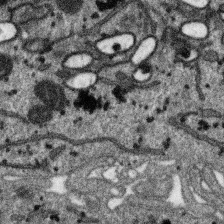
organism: Human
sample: Lung epithelial cells infected with SARS-CoV-2